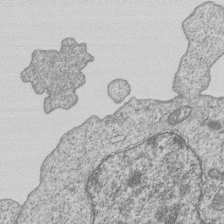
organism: Human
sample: MDA-MB-231 cells